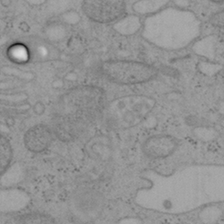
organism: Mouse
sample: OT-I killer T cells with ID8 ovarian cancer cells